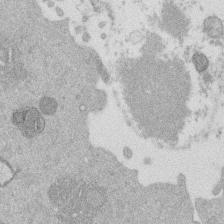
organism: Mouse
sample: Dividing mouse embryo 1 cell stage